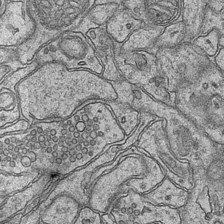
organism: Mouse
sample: CA1 Hippocampus